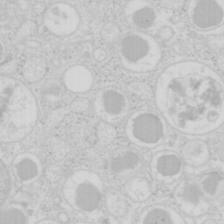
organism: Mouse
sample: Pancreas